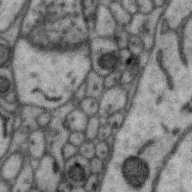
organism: Zebra finch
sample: Brain